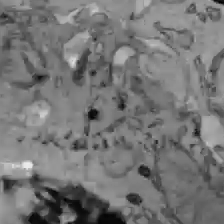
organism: C57BL Mouse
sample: Liver